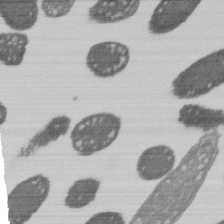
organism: E. coli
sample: Bacterial nucleoid